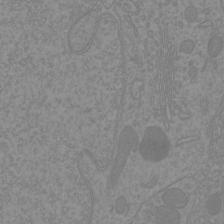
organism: Mouse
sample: Cortical neurons